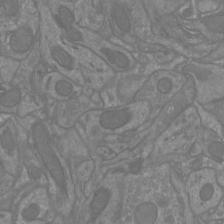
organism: Mouse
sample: Cortical neurons